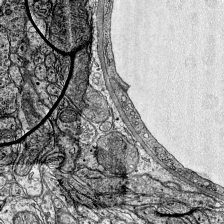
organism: Mouse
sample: Visual Cortex